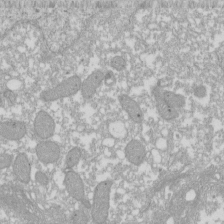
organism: Xenopus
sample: Cilia; centrioles in frog embryo cells